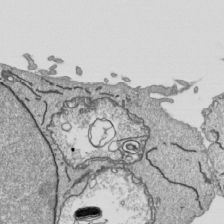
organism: Human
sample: Mitochondria in HCT116 cells